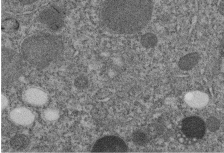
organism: C. elegans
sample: C. elegans embryo early stage